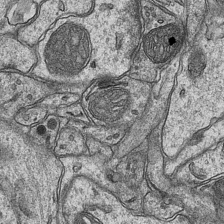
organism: Mouse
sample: CA1 Hippocampus